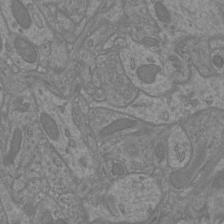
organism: Mouse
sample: Cortical neurons